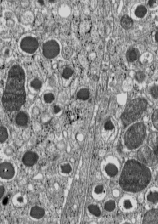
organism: C57BL Mouse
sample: Pancreatic islet